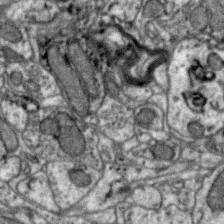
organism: Zebra finch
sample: Brain